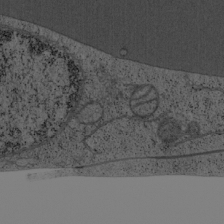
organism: African green monkey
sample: COS-7 cells